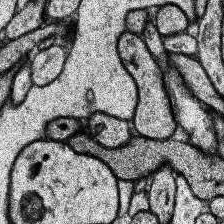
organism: Human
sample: Temporal Lobe